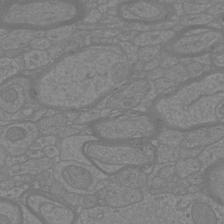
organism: Mouse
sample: Cortical neurons